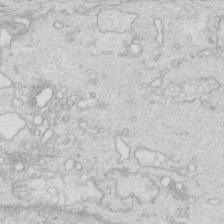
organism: Mouse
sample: Multiciliated cells